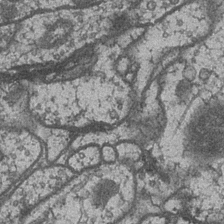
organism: Drosophila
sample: Optic medulla